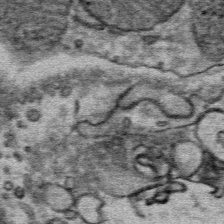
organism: Mouse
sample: Mouse Salivary gland